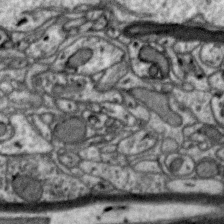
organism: Zebra finch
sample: Brain